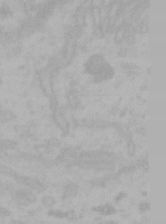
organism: Mouse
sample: Choroid plexus